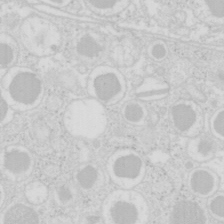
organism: Mouse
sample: Pancreas